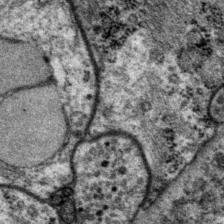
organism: P. pacificus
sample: Pharynx